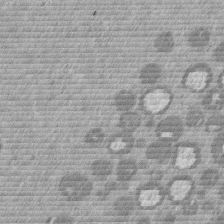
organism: Mouse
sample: Dividing mouse embryo 1 cell stage